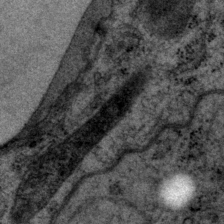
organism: P. pacificus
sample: Pharynx